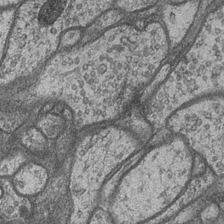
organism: Drosophila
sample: Optic medulla